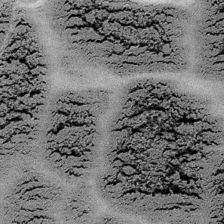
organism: Embia sp.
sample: Silk gland